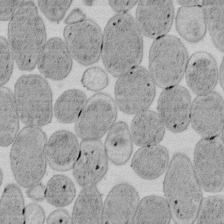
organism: E. coli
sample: Bacterial nucleoid